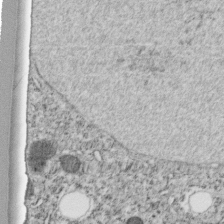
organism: C. elegans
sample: C. elegans embryo early stage